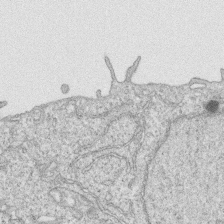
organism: Human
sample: HeLa cell HIV synapse